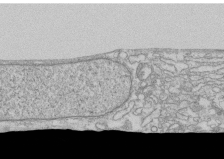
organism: Human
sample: CRL-1474